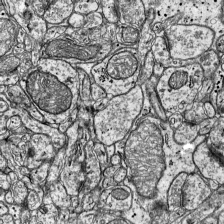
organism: Mouse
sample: Visual Cortex